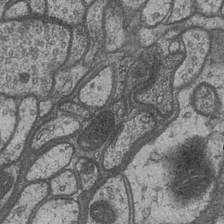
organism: Drosophila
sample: Optic medulla